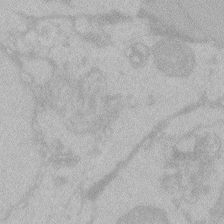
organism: Zebrafish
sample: Macrophage infected with Toxoplasma gondii